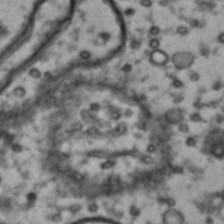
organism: Drosophila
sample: Brain